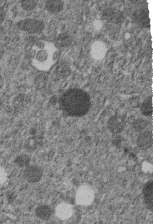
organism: C. elegans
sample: C. elegans embryo early stage